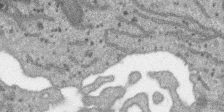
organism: Human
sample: Lung epithelial cells infected with SARS-CoV-2